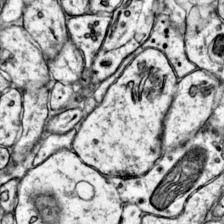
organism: Mouse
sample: Primary visual cortex